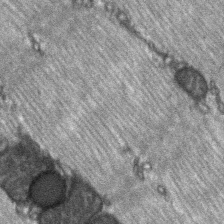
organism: C57BL Mouse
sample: Soleus